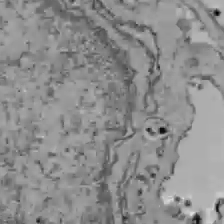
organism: C57BL Mouse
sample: Liver